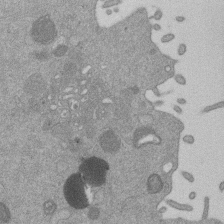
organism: Mouse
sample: Dividing mouse embryo 1 cell stage